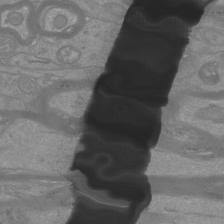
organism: Mouse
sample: Cortical neurons